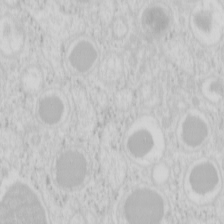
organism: Mouse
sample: Pancreas